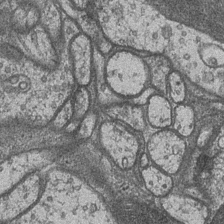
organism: Drosophila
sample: Optic medulla